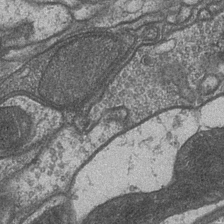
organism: Drosophila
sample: Optic medulla